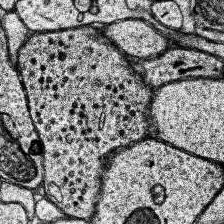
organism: Human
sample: Temporal Lobe